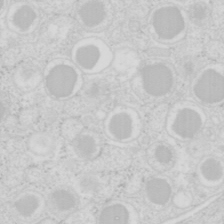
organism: Mouse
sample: Pancreas